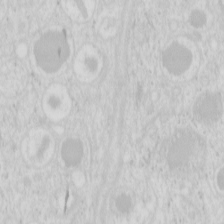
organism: Mouse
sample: Pancreas